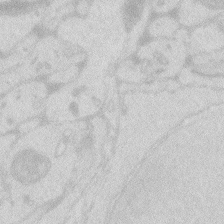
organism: Zebrafish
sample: Macrophage